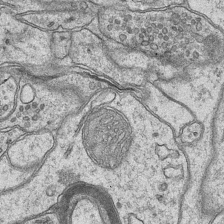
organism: Mouse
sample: CA1 Hippocampus